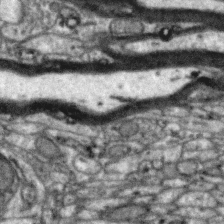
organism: Zebra finch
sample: Brain